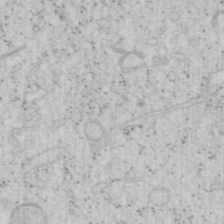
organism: Human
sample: HeLa cells